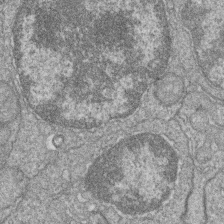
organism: Zebrafish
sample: Cilia; retinal pigment epithelium